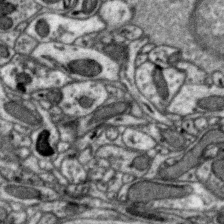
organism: Zebra finch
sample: Brain